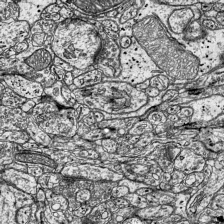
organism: Mouse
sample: Visual Cortex